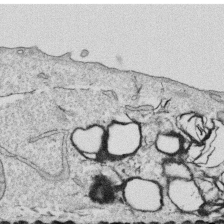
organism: Human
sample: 1205lu cells